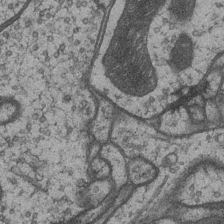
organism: Drosophila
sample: Optic medulla